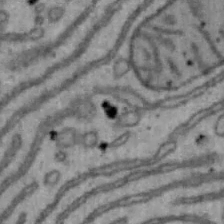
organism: Mouse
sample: Liver